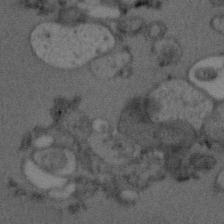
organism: Human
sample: HeLa cells